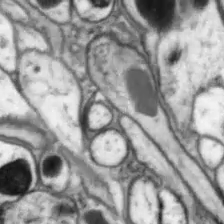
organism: Drosophila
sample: Optic lobe